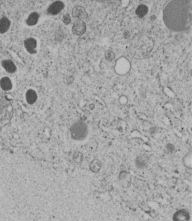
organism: C. elegans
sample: C. elegans embryo early stage